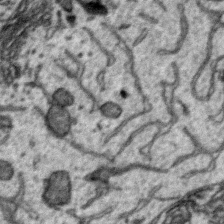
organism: Zebra finch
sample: Brain